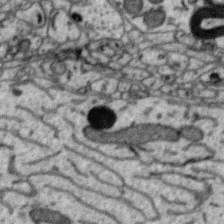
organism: Zebra finch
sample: Brain